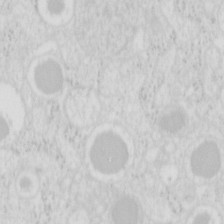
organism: Mouse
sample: Pancreas